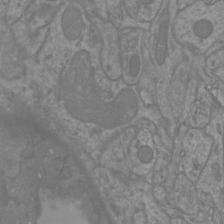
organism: Mouse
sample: Cortical neurons